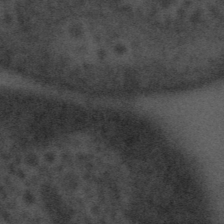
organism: Tuwongella immobilis